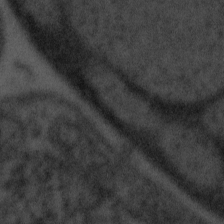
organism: Tuwongella immobilis